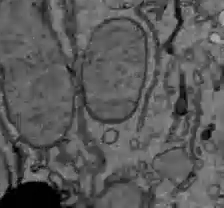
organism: C57BL Mouse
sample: Liver